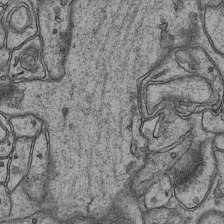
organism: Mouse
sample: CA1 Hippocampus